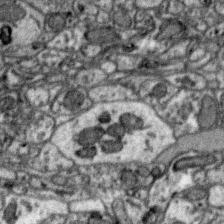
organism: Zebra finch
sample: Brain